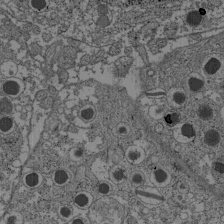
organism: C57BL Mouse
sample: Pancreatic islet